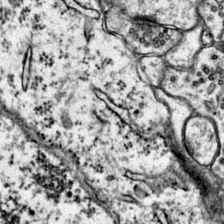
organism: Mouse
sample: Primary visual cortex